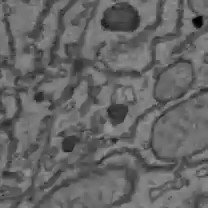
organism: C57BL Mouse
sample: Liver